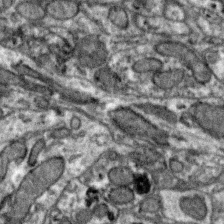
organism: Zebra finch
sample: Brain